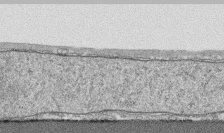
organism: Human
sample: CRL-1474